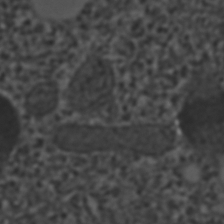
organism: C. elegans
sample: C. elegans embryo